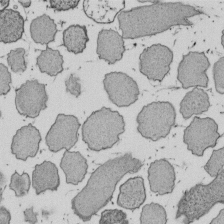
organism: E. coli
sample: Bacterial nucleoid